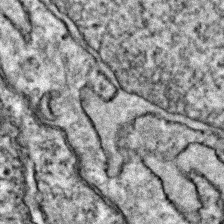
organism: Zebrafish